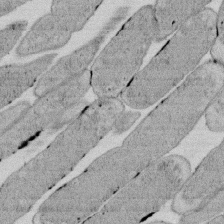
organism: E. coli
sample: Bacterial nucleoid